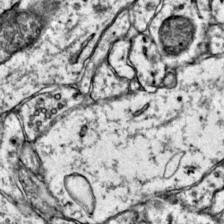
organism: Mouse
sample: Primary visual cortex